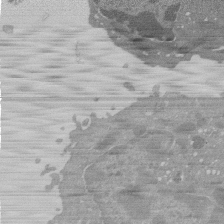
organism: Mouse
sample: Activated Pmel transgenic CD8+ T Cells